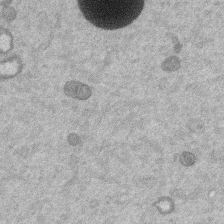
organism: Mouse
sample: Dividing mouse embryo 1 cell stage